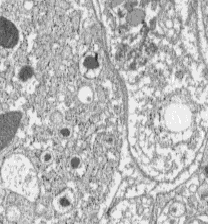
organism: C57BL Mouse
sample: Pancreatic islet